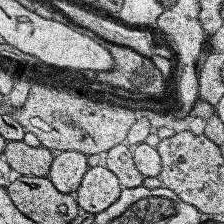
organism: Human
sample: Temporal Lobe